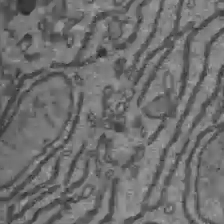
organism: C57BL Mouse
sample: Liver